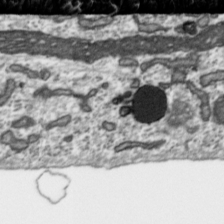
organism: Toxoplasma gondii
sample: Parasites in a vacuole inside a host cell